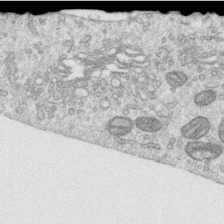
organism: Human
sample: Centriole in RPE cells